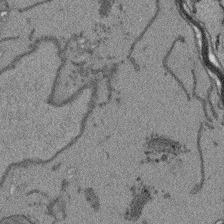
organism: Arabidopsis thaliana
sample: Root tip